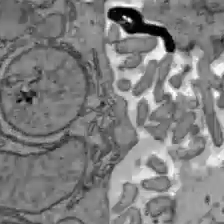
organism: C57BL Mouse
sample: Liver